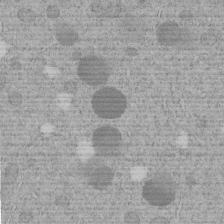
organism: C. elegans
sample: C. elegans embryo early stage